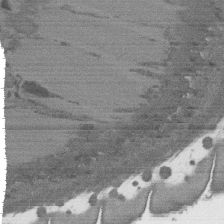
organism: C. elegans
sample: AFD neurons C. elegans